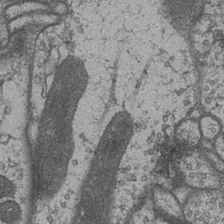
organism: Drosophila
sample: Optic medulla